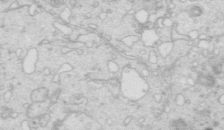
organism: Mouse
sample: Multiciliated cells